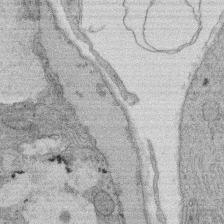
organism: Rat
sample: Salivary granule